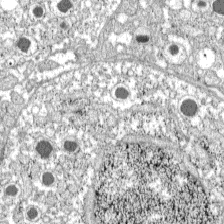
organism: C57BL Mouse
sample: Pancreatic islet